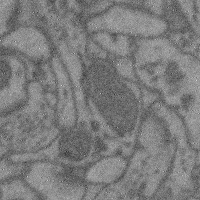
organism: Mouse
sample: Cerebral cortex